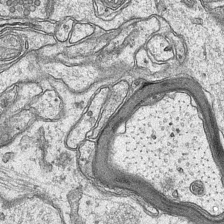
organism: Mouse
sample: CA1 Hippocampus